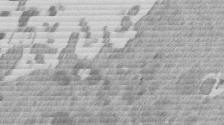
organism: Mouse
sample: Dividing mouse embryo 1 cell stage